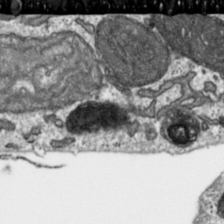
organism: Toxoplasma gondii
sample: Parasites in a vacuole inside a host cell